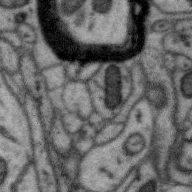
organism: Zebra finch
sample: Brain